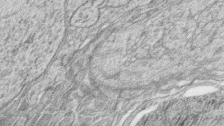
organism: Zebrafish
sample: synaptic ribbons in rod cells and cone cells